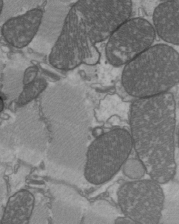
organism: C57BL Mouse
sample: Heart